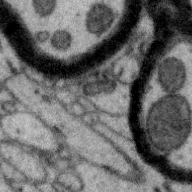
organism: Zebra finch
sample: Brain